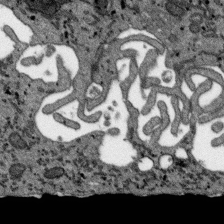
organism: Human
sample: Lung epithelial cells, uninfected (mock) control